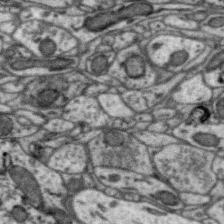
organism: Zebra finch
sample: Brain